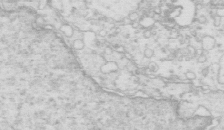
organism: Mouse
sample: Multiciliated cells